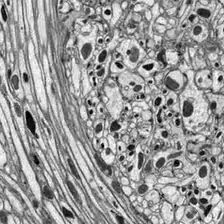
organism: Drosophila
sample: Optic lobe